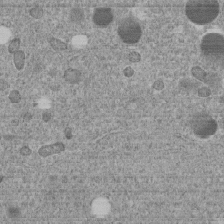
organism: C. elegans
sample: C. elegans embryo early stage